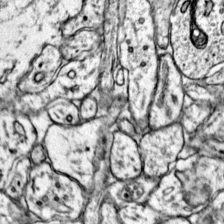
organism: Mouse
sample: Primary visual cortex